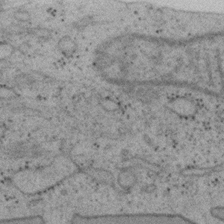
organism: Human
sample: HeLa cells